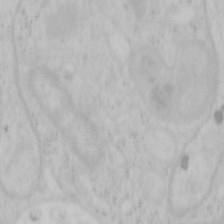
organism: Mouse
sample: OT-I killer T cells with ID8 ovarian cancer cells